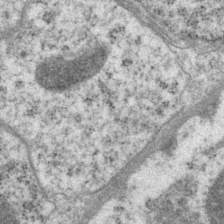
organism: P. pacificus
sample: Pharynx